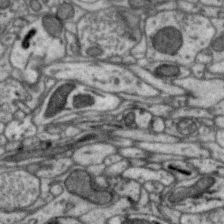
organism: Zebra finch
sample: Brain